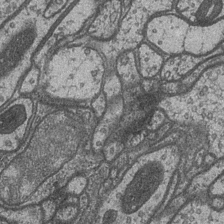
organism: Drosophila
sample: Optic medulla